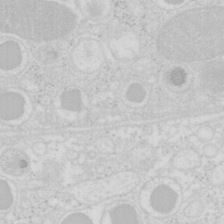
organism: Mouse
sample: Pancreas